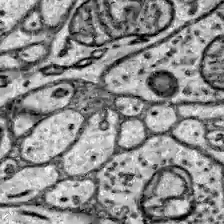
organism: Zebrafish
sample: Brain